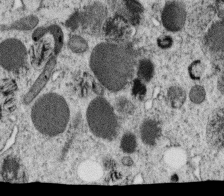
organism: C. elegans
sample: C. elegans oocyte; sperm cells